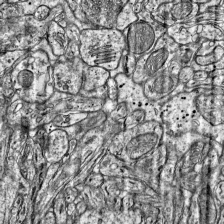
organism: Mouse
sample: Visual Cortex